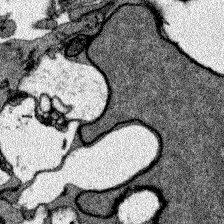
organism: Zebrafish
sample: Larval olfactory bulb